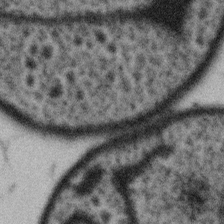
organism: Gemmata obscuriglobus